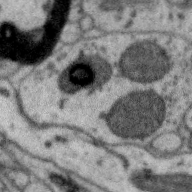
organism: Zebra finch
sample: Brain